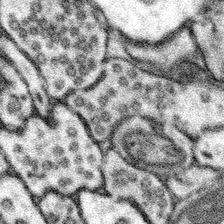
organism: Mouse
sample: Somatosensory cortex neuropil